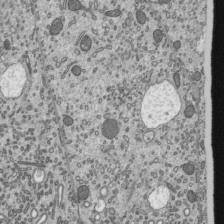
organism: Mouse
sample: Mouse epididymis efferent ductule cilia